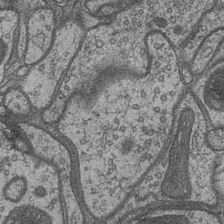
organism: Drosophila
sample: Optic medulla